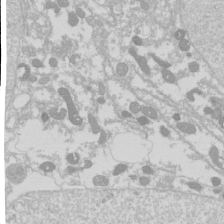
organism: Drosophila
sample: Cell division; meiosis; drosophila spermatocytes